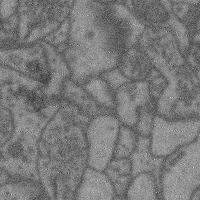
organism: Mouse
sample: Cerebral cortex